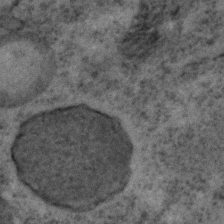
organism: C. elegans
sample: C. elegans embryo